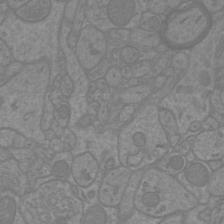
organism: Mouse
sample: Cortical neurons